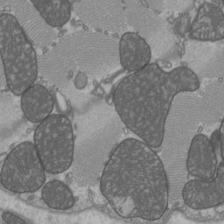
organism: C57BL Mouse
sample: Heart